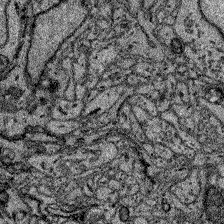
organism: Zebrafish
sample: Larval olfactory bulb